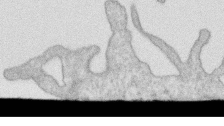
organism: Human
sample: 1205lu cells